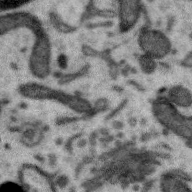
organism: Zebra finch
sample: Brain